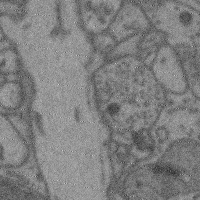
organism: Mouse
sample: Cerebral cortex